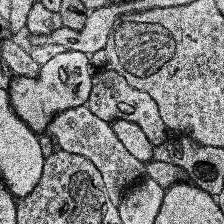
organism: Human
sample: Temporal Lobe